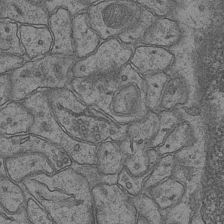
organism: Mouse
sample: CA1 Hippocampus